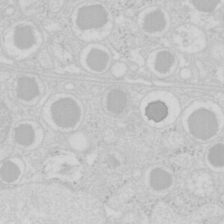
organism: Mouse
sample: Pancreas